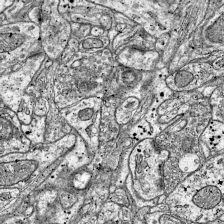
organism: Mouse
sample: Visual Cortex